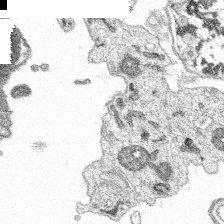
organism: Spongilla lacustris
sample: Multiple